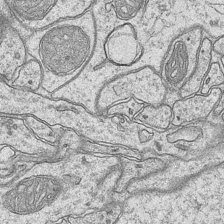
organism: Mouse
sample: CA1 Hippocampus